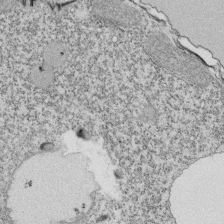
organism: Tetrahymena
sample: Cilia in tetrahymena